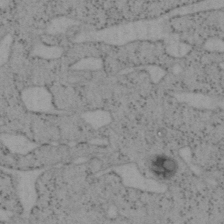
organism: Mouse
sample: OT-I killer T cells with ID8 ovarian cancer cells